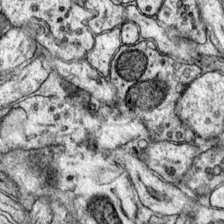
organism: Mouse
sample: Primary visual cortex